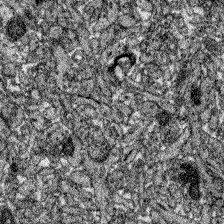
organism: Zebrafish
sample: Larval olfactory bulb